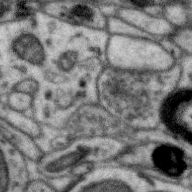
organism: Zebra finch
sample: Brain